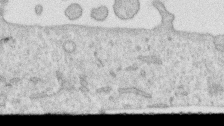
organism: Human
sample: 1205lu cells